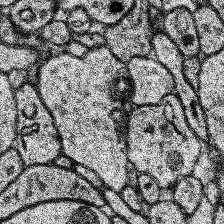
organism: Human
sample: Temporal Lobe